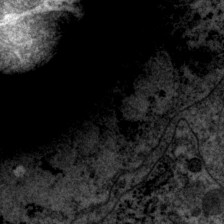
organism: P. pacificus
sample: Pharynx